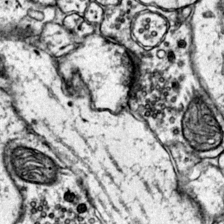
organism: Mouse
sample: Primary visual cortex